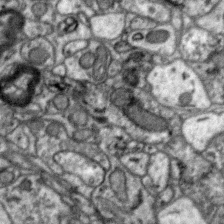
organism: Zebra finch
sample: Brain